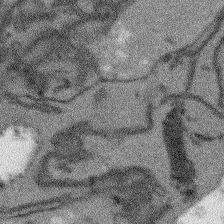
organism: Arabidopsis thaliana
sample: Root tip